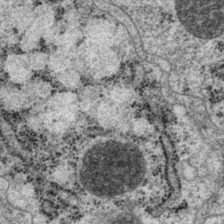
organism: P. pacificus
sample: Pharynx